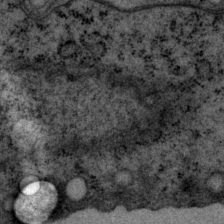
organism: P. pacificus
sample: Pharynx